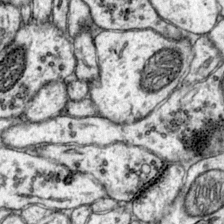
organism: Mouse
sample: Primary visual cortex